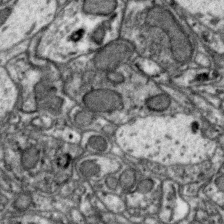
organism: Zebra finch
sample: Brain